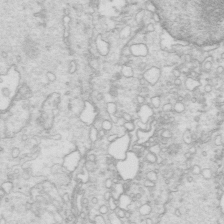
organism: Mouse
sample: Multiciliated cells